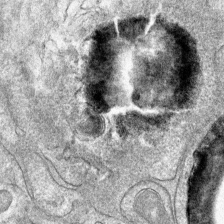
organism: Mouse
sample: Mouse hepatocytes